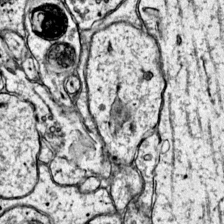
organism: Mouse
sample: Primary visual cortex